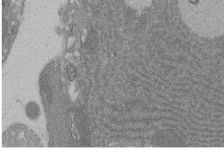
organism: Rat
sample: Salivary granule